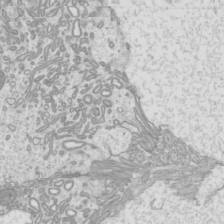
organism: Mouse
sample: Cilia; mouse epididymis